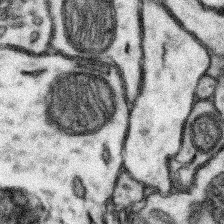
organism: Mouse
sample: Somatosensory cortex neuropil